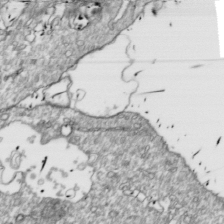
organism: Drosophila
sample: Cell division; meiosis; drosophila spermatocytes